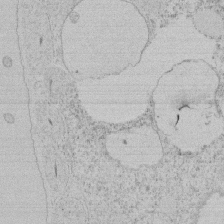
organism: Tetrahymena